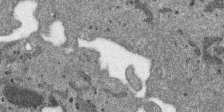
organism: Human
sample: Lung epithelial cells infected with SARS-CoV-2